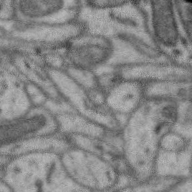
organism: Zebra finch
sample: Brain